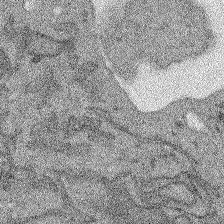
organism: Human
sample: HeLa cells